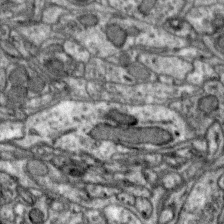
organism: Zebra finch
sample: Brain